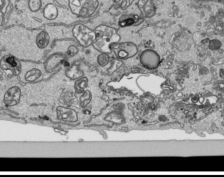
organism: Human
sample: Mitochondria in HCT116 cells